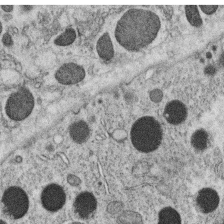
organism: C. elegans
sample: C. elegans oocyte; sperm cells